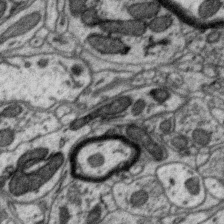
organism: Zebra finch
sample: Brain